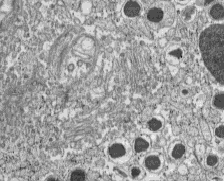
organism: C57BL Mouse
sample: Pancreatic islet